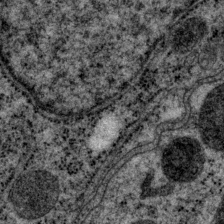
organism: P. pacificus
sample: Pharynx